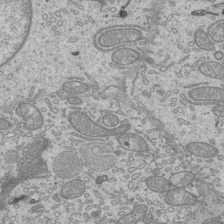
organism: Mouse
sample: Cilia; mouse epididymis